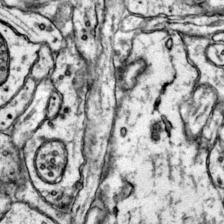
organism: Mouse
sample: Primary visual cortex